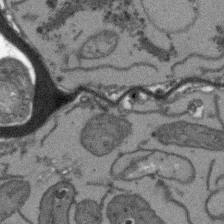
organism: Arabidopsis thaliana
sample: Root tip